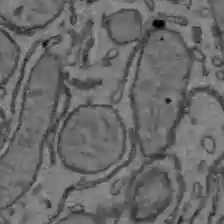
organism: C57BL Mouse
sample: Liver